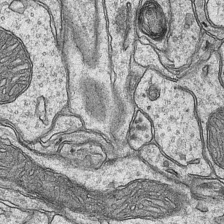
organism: Mouse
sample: CA1 Hippocampus